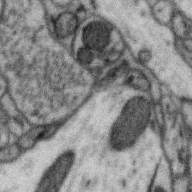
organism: Zebra finch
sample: Brain